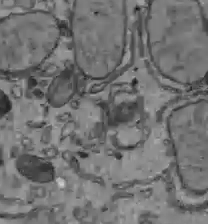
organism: C57BL Mouse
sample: Liver